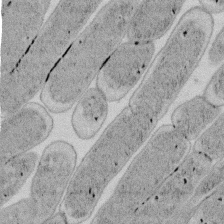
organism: E. coli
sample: Bacterial nucleoid